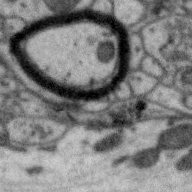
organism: Zebra finch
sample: Brain